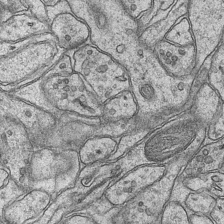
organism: Mouse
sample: CA1 Hippocampus